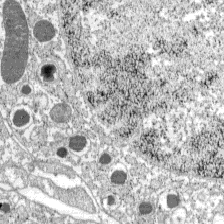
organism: C57BL Mouse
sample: Pancreatic islet